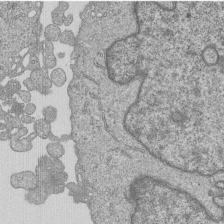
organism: Human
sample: MDA-MB-231 cells